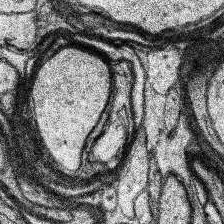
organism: Human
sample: Temporal Lobe